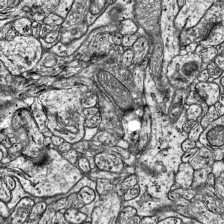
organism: Mouse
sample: Visual Cortex